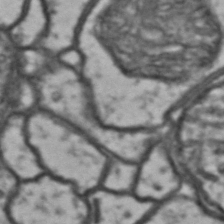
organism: Drosophila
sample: Brain